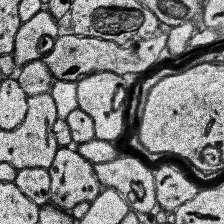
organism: Human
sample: Temporal Lobe